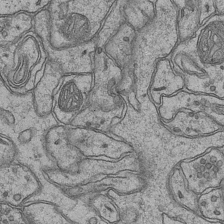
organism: Mouse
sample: CA1 Hippocampus